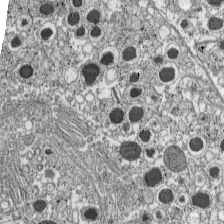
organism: C57BL Mouse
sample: Pancreatic islet